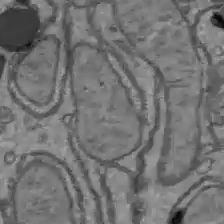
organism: C57BL Mouse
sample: Liver